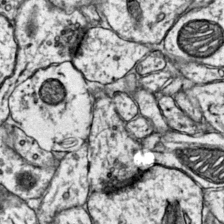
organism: Mouse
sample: Primary visual cortex